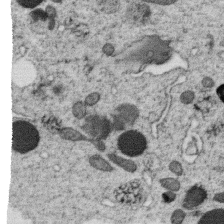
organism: C. elegans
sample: C. elegans oocyte; sperm cells